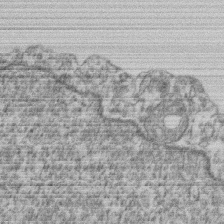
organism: Mouse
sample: T cell stromal cell synapse